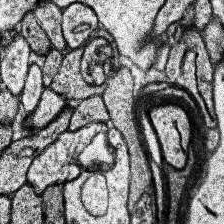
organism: Human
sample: Temporal Lobe